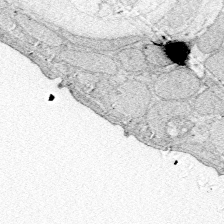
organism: Zebrafish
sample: Whole-Brain